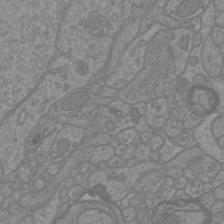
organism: Mouse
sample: Cortical neurons